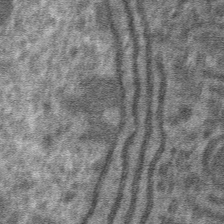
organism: Mouse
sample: Mouse hepatocytes